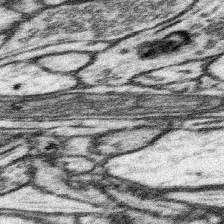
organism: Mouse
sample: Somatosensory cortex neuropil